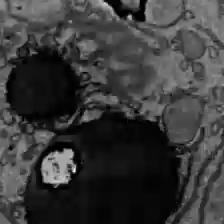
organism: C57BL Mouse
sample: Liver